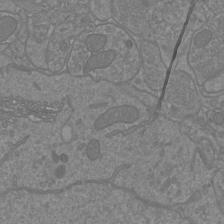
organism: Mouse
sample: Cortical neurons